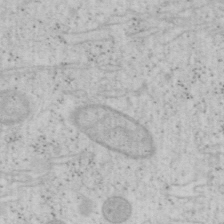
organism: Human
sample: HeLa cells